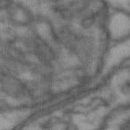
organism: Drosophila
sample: Brain